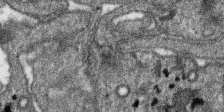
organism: Human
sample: Lung epithelial cells infected with SARS-CoV-2